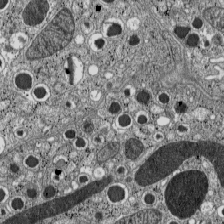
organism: C57BL Mouse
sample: Pancreatic islet